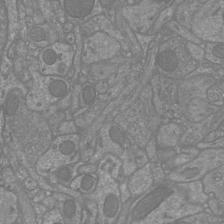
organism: Mouse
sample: Cortical neurons